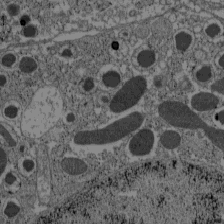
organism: C57BL Mouse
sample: Pancreatic islet